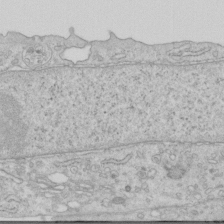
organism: Human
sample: Centriole in RPE cells